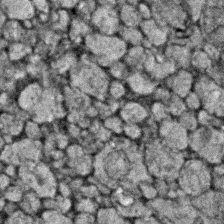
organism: Zebrafish